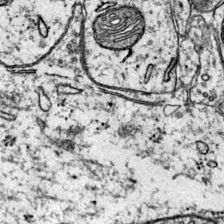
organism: Mouse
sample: Primary visual cortex